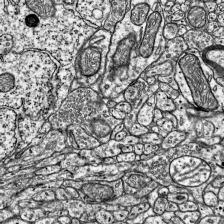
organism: Mouse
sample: Visual Cortex